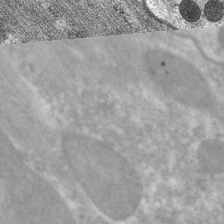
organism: C. elegans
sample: Pharynx